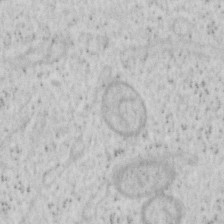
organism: Human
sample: HeLa cells